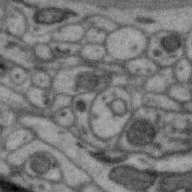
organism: Zebra finch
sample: Brain